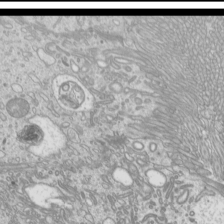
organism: Mouse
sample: Cilia; mouse epididymis